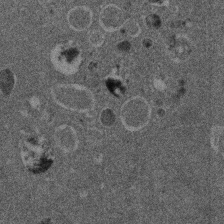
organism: Mouse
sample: Dividing mouse embryo 1 cell stage